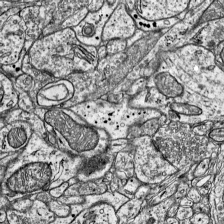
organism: Mouse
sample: Visual Cortex